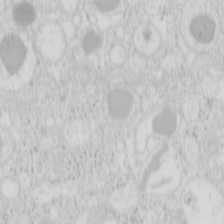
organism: Mouse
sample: Pancreas